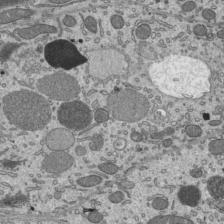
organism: Mouse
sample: Mouse epididymis efferent ductule cilia